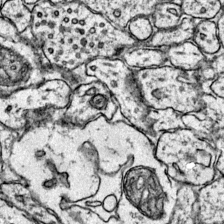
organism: Mouse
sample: Primary visual cortex